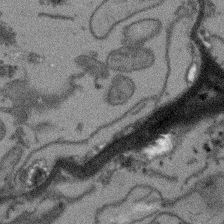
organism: Arabidopsis thaliana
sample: Root tip